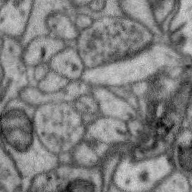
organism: Zebra finch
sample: Brain